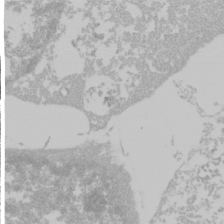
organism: Mouse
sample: Cancer cell death in ED-1 cells